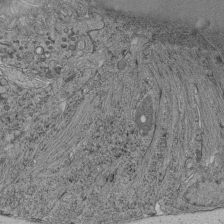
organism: C. elegans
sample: C. elegans pharynx